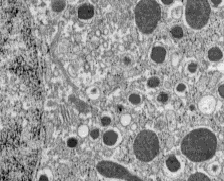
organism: C57BL Mouse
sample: Pancreatic islet